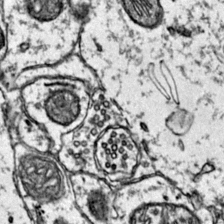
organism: Mouse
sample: Primary visual cortex